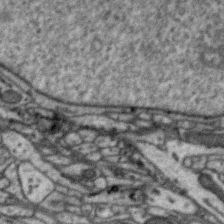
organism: Zebra finch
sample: Brain